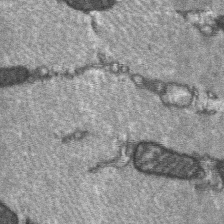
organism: C57BL Mouse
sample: Soleus